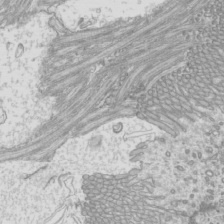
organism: Mouse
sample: Cilia; mouse epididymis